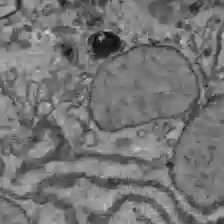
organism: C57BL Mouse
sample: Liver